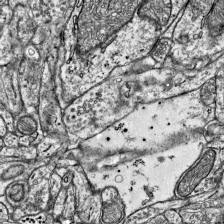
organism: Mouse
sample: Visual Cortex